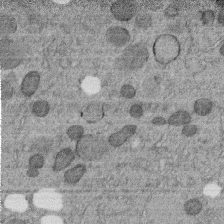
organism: C. elegans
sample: C. elegans embryo early stage